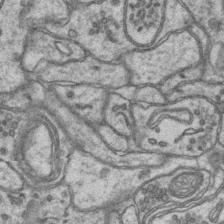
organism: Mouse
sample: CA1 Hippocampus